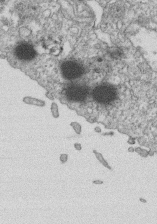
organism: Human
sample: HeLa cell HIV synapse